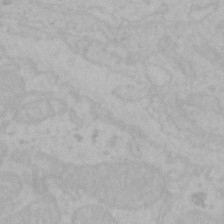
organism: Mouse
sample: Choroid plexus